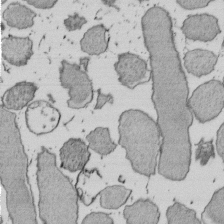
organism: E. coli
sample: Bacterial nucleoid